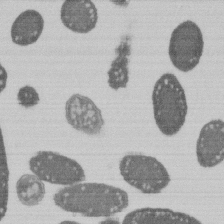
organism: E. coli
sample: Bacterial nucleoid